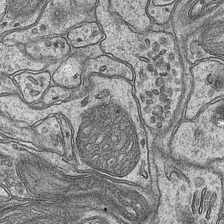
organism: Mouse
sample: CA1 Hippocampus